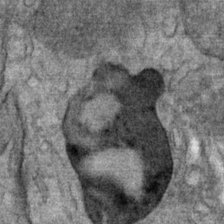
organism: Mouse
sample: Mouse Salivary gland